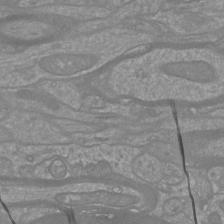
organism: Mouse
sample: Cortical neurons